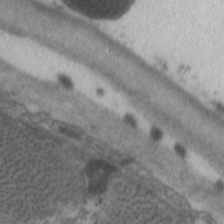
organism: C. elegans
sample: Pharynx